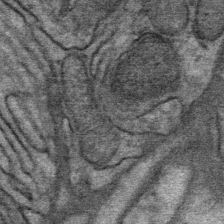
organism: Mouse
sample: Mouse Salivary gland